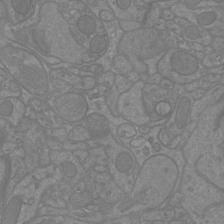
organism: Mouse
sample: Cortical neurons